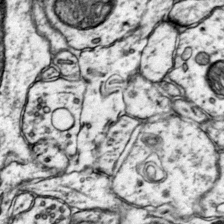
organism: Mouse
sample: Primary visual cortex